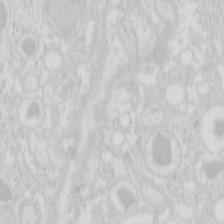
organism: Mouse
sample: Pancreas